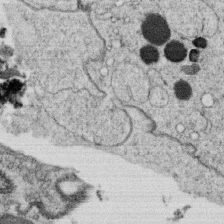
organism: C. elegans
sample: C. elegans oocyte; sperm cells